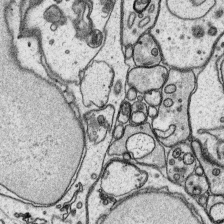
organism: Platynereis dumerilii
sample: Parapodia